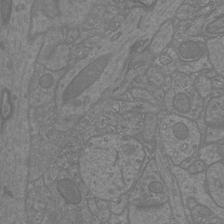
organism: Mouse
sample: Cortical neurons